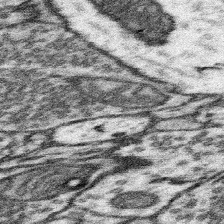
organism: Mouse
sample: Somatosensory cortex neuropil